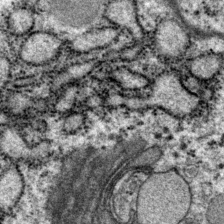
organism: P. pacificus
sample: Pharynx